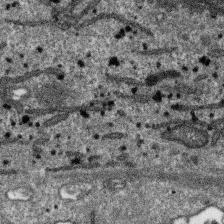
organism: Human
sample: Lung epithelial cells infected with SARS-CoV-2